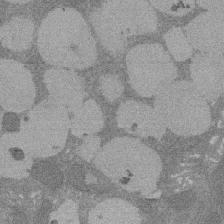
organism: Rat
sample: Salivary granule